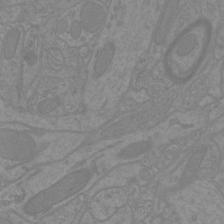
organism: Mouse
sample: Cortical neurons